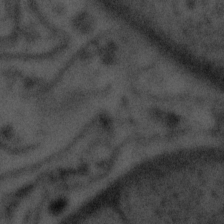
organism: Tuwongella immobilis